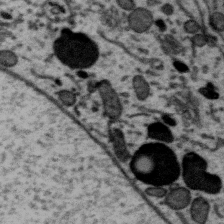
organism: Zebra finch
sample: Brain